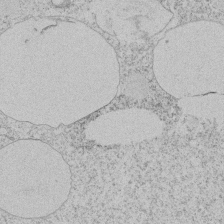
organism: Tetrahymena